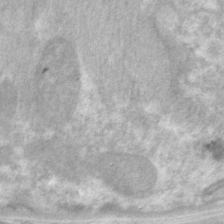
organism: C. elegans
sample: Pharynx